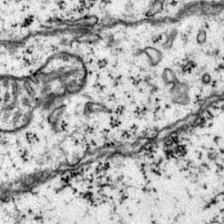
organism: Mouse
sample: Primary visual cortex